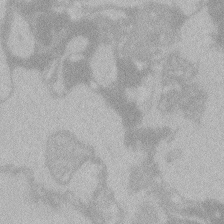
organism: Zebrafish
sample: Macrophage infected with Toxoplasma gondii